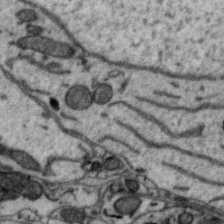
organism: Zebra finch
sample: Brain